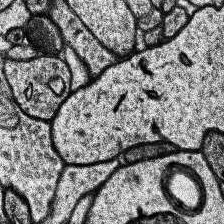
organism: Human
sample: Temporal Lobe